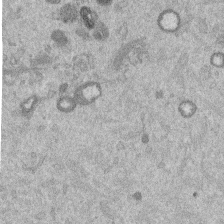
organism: Mouse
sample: Dividing mouse embryo 1 cell stage